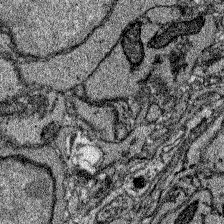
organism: Zebrafish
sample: Larval olfactory bulb